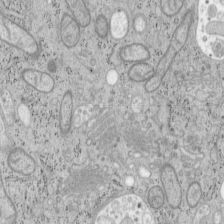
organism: Mouse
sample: OT-I killer T cells with ID8 ovarian cancer cells